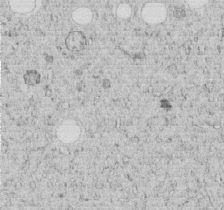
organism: C. elegans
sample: C. elegans embryo early stage